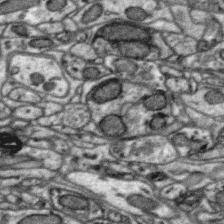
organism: Zebra finch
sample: Brain